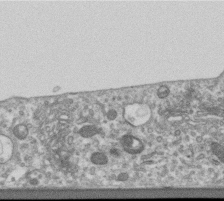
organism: Human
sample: Centriole in RPE cells